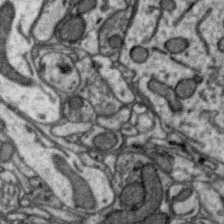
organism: Zebra finch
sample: Brain